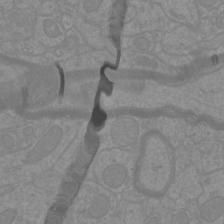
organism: Mouse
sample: Cortical neurons